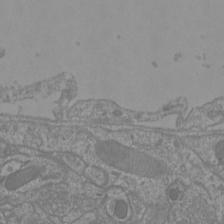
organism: Mouse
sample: Cortical neurons